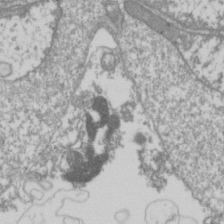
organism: Drosophila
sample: Cell division; meiosis; drosophila spermatocytes